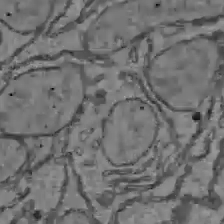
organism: C57BL Mouse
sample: Liver